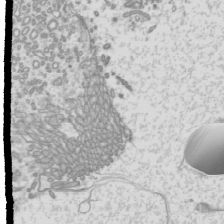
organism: Mouse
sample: Cilia; mouse epididymis